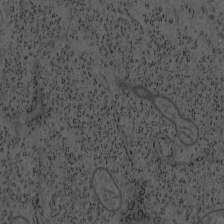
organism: Mouse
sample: OT-I killer T cells with ID8 ovarian cancer cells